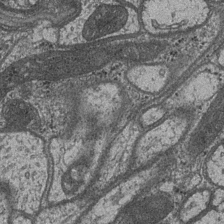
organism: Drosophila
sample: Optic medulla